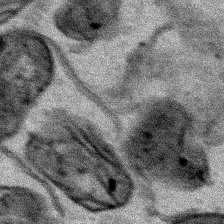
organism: Human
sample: Mitochondria in HCT116 cells